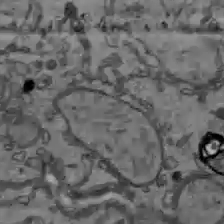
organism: C57BL Mouse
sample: Liver